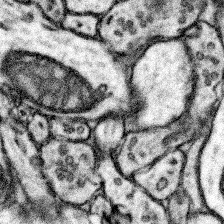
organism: Mouse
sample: Somatosensory cortex neuropil